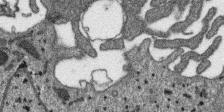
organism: Human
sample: Lung epithelial cells infected with SARS-CoV-2